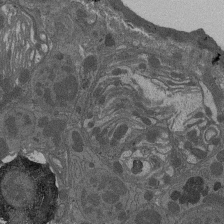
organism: Drosophila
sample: Antenna